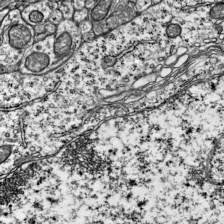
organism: Mouse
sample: Visual Cortex